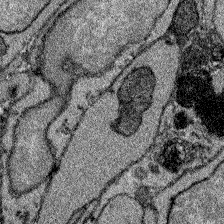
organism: Zebrafish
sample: Larval olfactory bulb